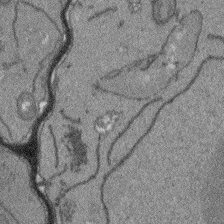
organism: Arabidopsis thaliana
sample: Root tip